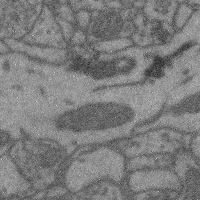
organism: Mouse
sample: Cerebral cortex